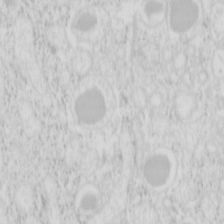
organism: Mouse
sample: Pancreas